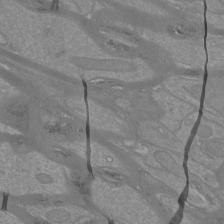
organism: Mouse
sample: Cortical neurons